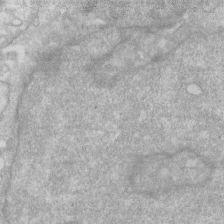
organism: Human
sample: Fibroblast cells